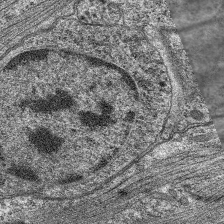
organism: C. elegans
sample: Pharynx